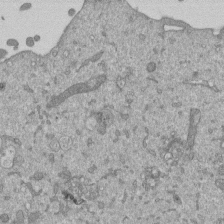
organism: Mouse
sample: ED-1 cell nuclei; centrioles